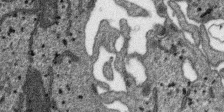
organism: Human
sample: Lung epithelial cells infected with SARS-CoV-2